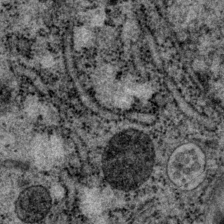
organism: P. pacificus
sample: Pharynx